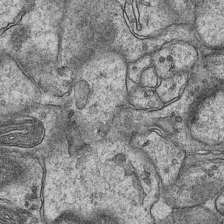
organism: Mouse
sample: CA1 Hippocampus